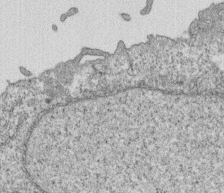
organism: Human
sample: HeLa cell HIV synapse